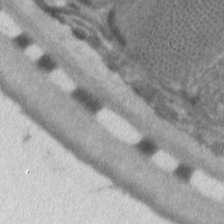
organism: C. elegans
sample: Pharynx